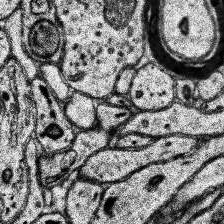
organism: Human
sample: Temporal Lobe